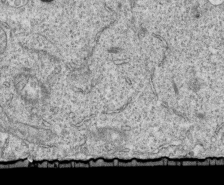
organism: Human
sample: HeLa cell HIV synapse